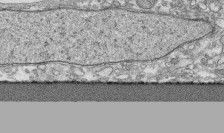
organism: Human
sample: CRL-1474